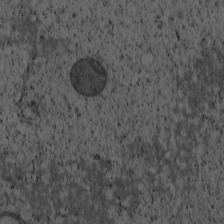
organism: African green monkey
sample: COS-7 cells